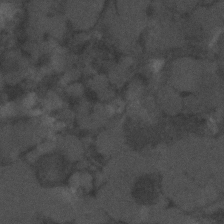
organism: C. elegans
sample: C. elegans embryo